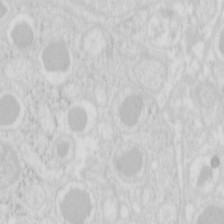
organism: Mouse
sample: Pancreas